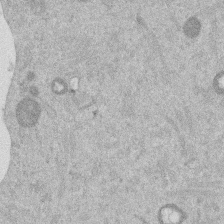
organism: Mouse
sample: Dividing mouse embryo 1 cell stage